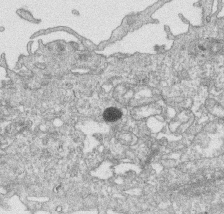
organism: Human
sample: HeLa cell HIV synapse